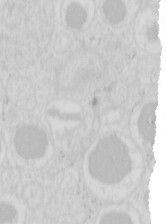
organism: Mouse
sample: Pancreas